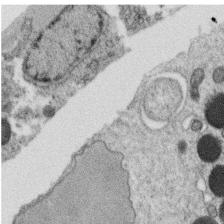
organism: C. elegans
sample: C. elegans oocyte; sperm cells